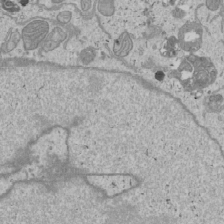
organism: Human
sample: Mitochondria in U2OS cells